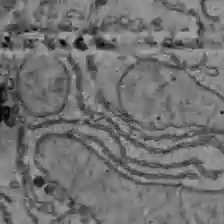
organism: C57BL Mouse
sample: Liver